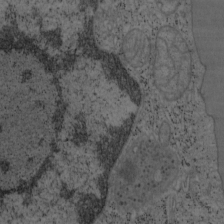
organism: Mouse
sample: OT-I killer T cells with ID8 ovarian cancer cells